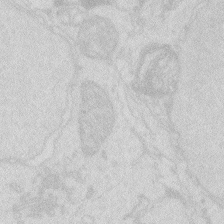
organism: Zebrafish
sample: Macrophage